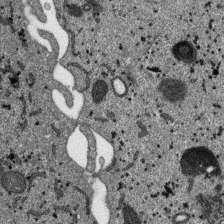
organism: Human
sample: Lung epithelial cells infected with SARS-CoV-2